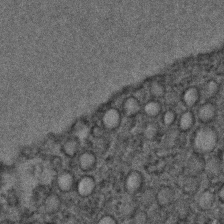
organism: C. elegans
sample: C. elegans embryo